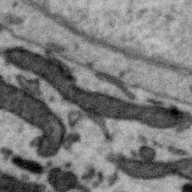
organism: Zebra finch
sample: Brain